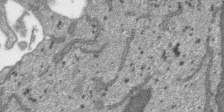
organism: Human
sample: Lung epithelial cells infected with SARS-CoV-2